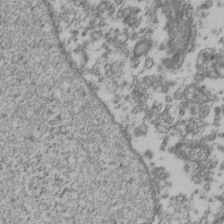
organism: Human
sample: Activated Jurkat CD4+ T cells